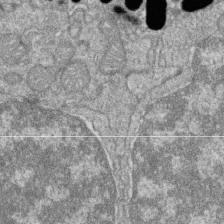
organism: Zebrafish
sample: Cilia; retinal pigment epithelium